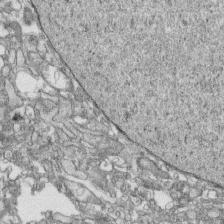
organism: Human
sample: CRL-1474